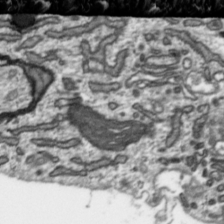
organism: Toxoplasma gondii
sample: Parasites in a vacuole inside a host cell